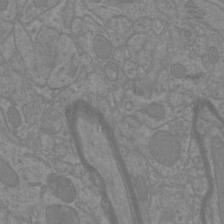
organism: Mouse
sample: Cortical neurons